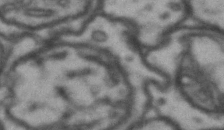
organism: Drosophila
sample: Brain